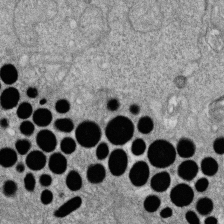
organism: Zebrafish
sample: Cilia; retinal pigment epithelium